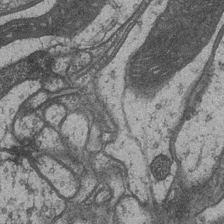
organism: Drosophila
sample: Optic medulla